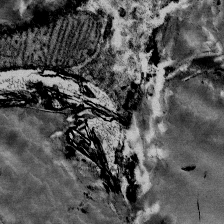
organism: Mouse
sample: Mouse Salivary gland